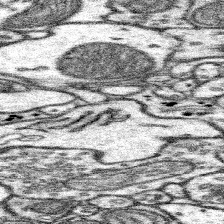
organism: Mouse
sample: Somatosensory cortex neuropil